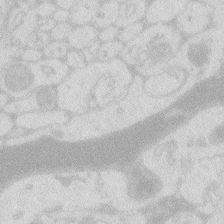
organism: Zebrafish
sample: Macrophage